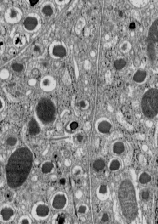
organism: C57BL Mouse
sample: Pancreatic islet